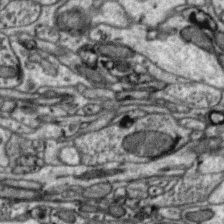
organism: Zebra finch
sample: Brain